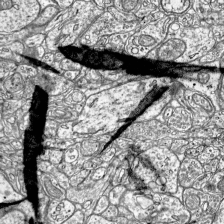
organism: Mouse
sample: Visual Cortex